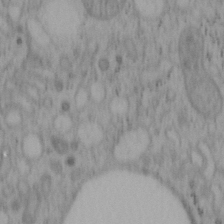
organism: Mouse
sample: OT-I killer T cells with ID8 ovarian cancer cells